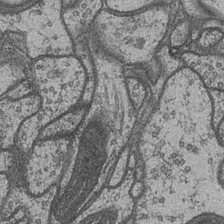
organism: Drosophila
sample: Optic medulla